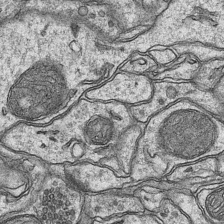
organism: Mouse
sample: CA1 Hippocampus